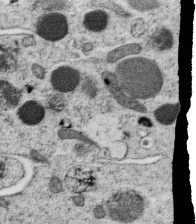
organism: C. elegans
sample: C. elegans oocyte; sperm cells